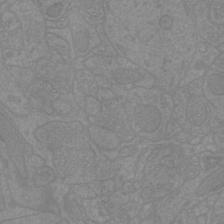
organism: Mouse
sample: Cortical neurons